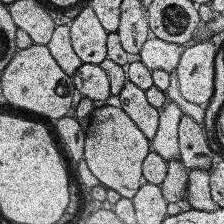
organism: Human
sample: Temporal Lobe